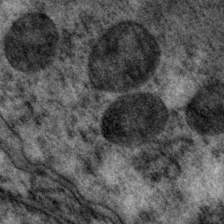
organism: P. pacificus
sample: Pharynx